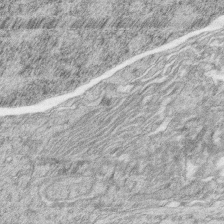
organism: Zebrafish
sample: synaptic ribbons in rod cells and cone cells